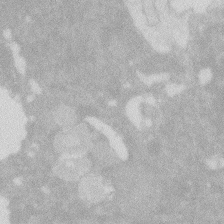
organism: Zebrafish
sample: Macrophage